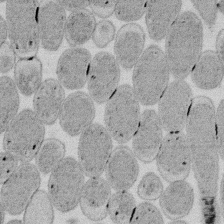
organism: E. coli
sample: Bacterial nucleoid